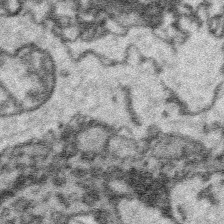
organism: Platynereis dumerilii